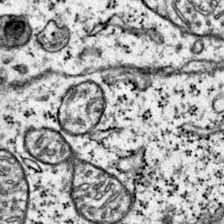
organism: Mouse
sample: Primary visual cortex